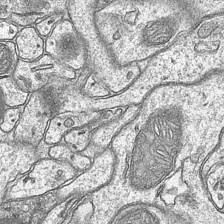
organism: Mouse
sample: CA1 Hippocampus